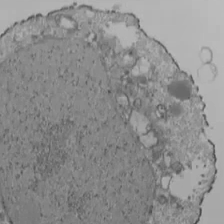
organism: Human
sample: Jurkat E6-1 and CD4 cells